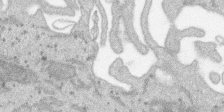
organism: Human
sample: Lung epithelial cells infected with SARS-CoV-2